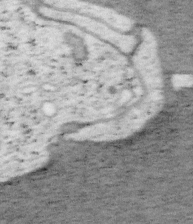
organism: Mouse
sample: OT-I killer T cells with ID8 ovarian cancer cells